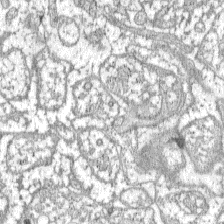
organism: C57BL Mouse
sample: Pancreatic islet